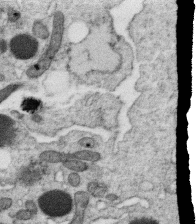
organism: C. elegans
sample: C. elegans oocyte; sperm cells